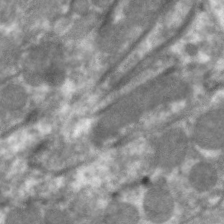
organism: C. elegans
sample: Pharynx